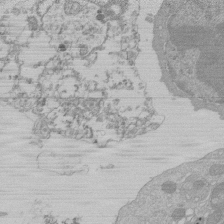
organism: Mouse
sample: Activated Pmel transgenic CD8+ T Cells